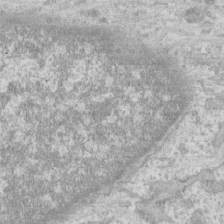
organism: Human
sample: CRL-1474